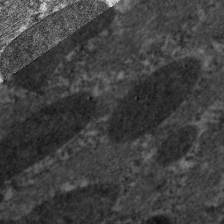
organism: C. elegans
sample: Pharynx